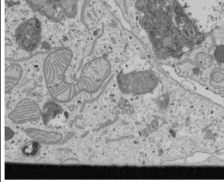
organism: Human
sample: Mitochondria in U2OS cells